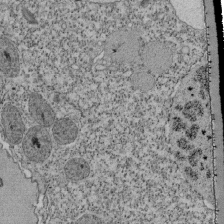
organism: Tetrahymena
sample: Cilia in tetrahymena